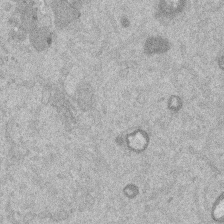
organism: Mouse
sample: Dividing mouse embryo 1 cell stage